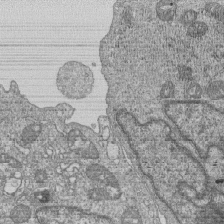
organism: Human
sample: MDA-MB-231 cells